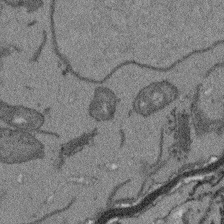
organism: Arabidopsis thaliana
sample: Root tip